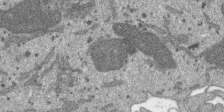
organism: Human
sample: Lung epithelial cells infected with SARS-CoV-2